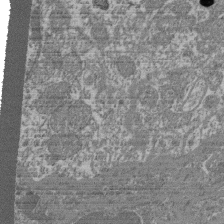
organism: Mouse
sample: Glomerulus